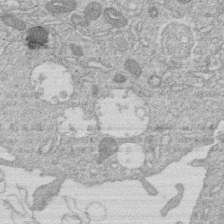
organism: Human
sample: Macrophage cells